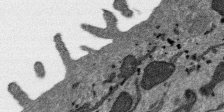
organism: Human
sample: Lung epithelial cells, uninfected (mock) control